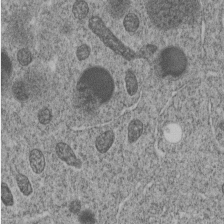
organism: C. elegans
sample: C. elegans embryo early stage